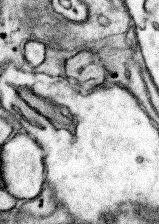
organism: Mouse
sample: Somatosensory cortex neuropil